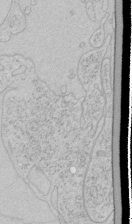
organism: Human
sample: Mitochondria in HCT116 cells